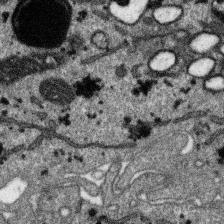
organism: Human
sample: Lung epithelial cells infected with SARS-CoV-2